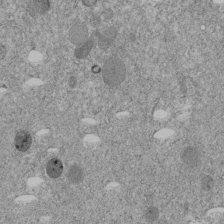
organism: C. elegans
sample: C. elegans embryo early stage